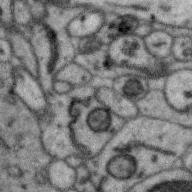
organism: Zebra finch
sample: Brain